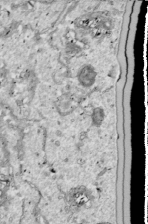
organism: Drosophila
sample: Cell division; meiosis; drosophila spermatocytes